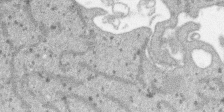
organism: Human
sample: Lung epithelial cells infected with SARS-CoV-2